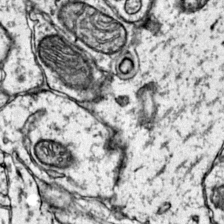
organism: Mouse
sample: Primary visual cortex